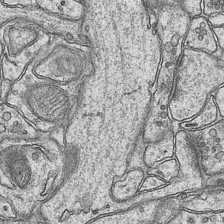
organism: Mouse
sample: CA1 Hippocampus